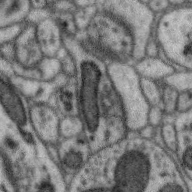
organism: Zebra finch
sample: Brain